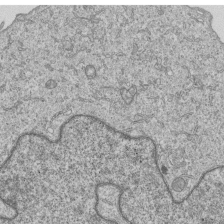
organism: Human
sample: MDA-MB-231 cells